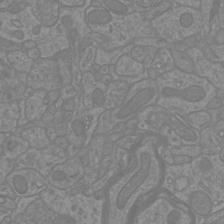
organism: Mouse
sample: Cortical neurons